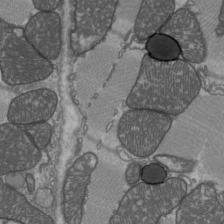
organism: C57BL Mouse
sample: Heart